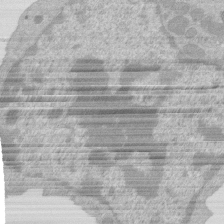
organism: Mouse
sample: Activated Pmel transgenic CD8+ T Cells